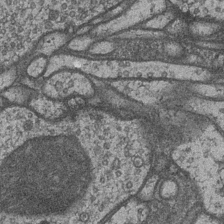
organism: Drosophila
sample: Optic medulla